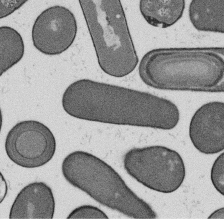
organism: B. subtilis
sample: Bacterial spore